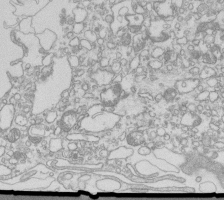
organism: Mouse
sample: Macrophages